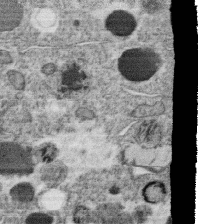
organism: C. elegans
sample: C. elegans oocyte; sperm cells